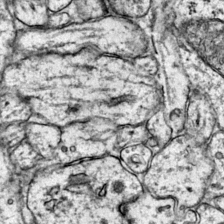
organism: Mouse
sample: Primary visual cortex